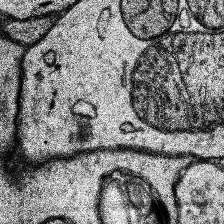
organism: Human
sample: Temporal Lobe